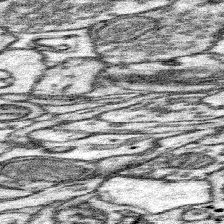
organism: Mouse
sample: Somatosensory cortex neuropil